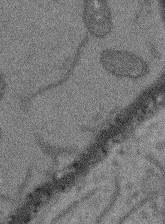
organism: Arabidopsis thaliana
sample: Root tip